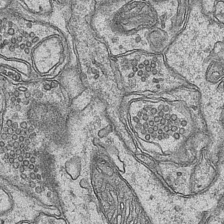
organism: Mouse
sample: CA1 Hippocampus